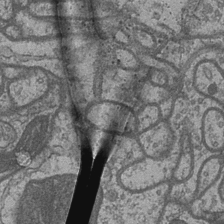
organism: Drosophila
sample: Optic medulla